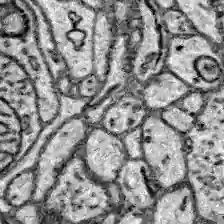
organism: Zebrafish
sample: Brain